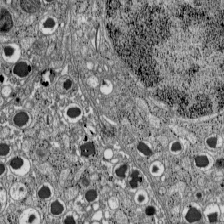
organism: C57BL Mouse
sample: Pancreatic islet